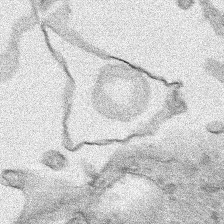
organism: Human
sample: Mitochondria in HCT116 cells